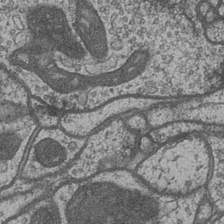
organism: Drosophila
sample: Optic medulla